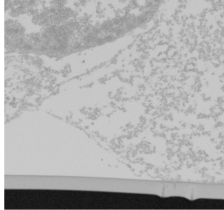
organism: Mouse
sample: Cancer cell death in ED-1 cells